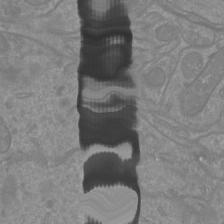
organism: Mouse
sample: Cortical neurons